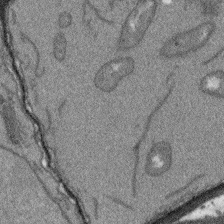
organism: Arabidopsis thaliana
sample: Root tip